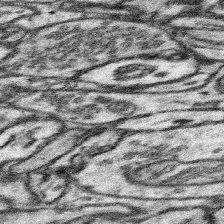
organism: Mouse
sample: Somatosensory cortex neuropil